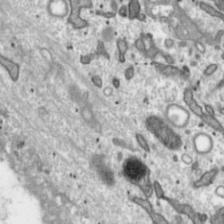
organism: Toxoplasma gondii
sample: Parasites in a vacuole inside a host cell